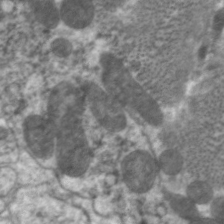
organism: C. elegans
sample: Pharynx